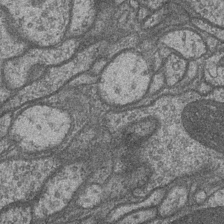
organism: Drosophila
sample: Optic medulla